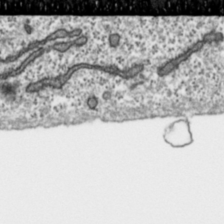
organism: Toxoplasma gondii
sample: Parasites in a vacuole inside a host cell